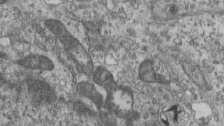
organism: Mouse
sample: Centriole in ependymal cells